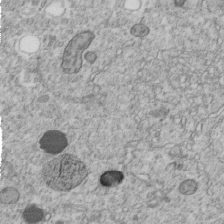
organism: C. elegans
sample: C. elegans embryo early stage